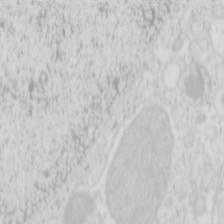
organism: Mouse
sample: Pancreas